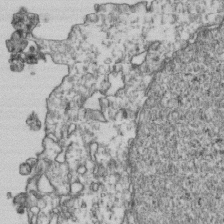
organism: Human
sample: Activated Jurkat CD4+ T cells